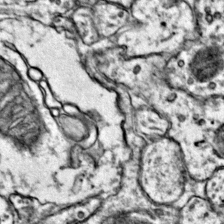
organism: Mouse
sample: Primary visual cortex